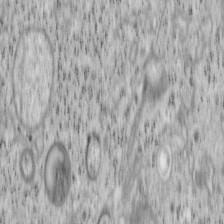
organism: Human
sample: HeLa cells